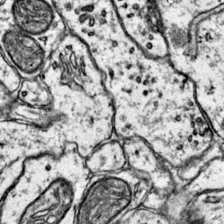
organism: Mouse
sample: Primary visual cortex